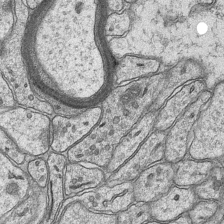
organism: Mouse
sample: CA1 Hippocampus